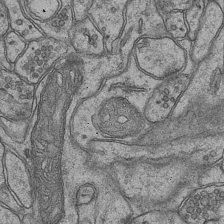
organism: Mouse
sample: CA1 Hippocampus